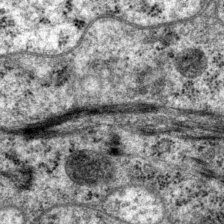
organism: P. pacificus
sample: Pharynx